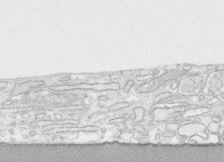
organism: Human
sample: CRL-1474